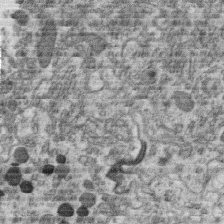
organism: C. elegans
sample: C. elegans oocyte; sperm cells